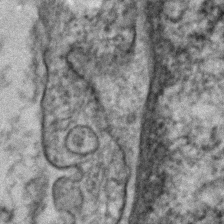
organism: Human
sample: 1205lu cells